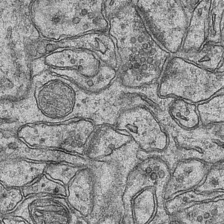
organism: Mouse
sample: CA1 Hippocampus